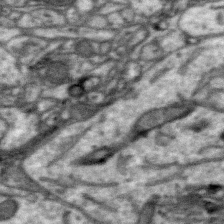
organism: Zebra finch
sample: Brain